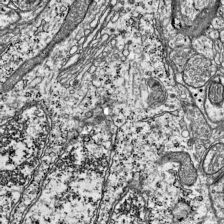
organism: Mouse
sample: Visual Cortex